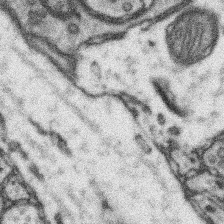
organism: Mouse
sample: Somatosensory cortex neuropil